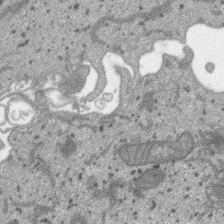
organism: Human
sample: Lung epithelial cells infected with SARS-CoV-2